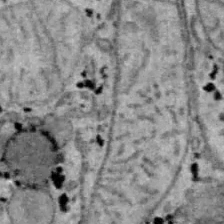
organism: Mouse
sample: Liver from an obese (ob/ob) mouse